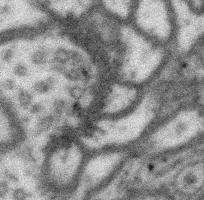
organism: Drosophila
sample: Protocerebral bridge